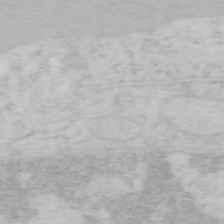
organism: Mouse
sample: OT-I killer T cells with ID8 ovarian cancer cells